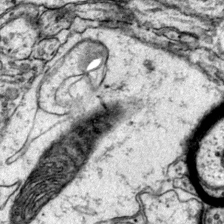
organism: Mouse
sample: Primary visual cortex